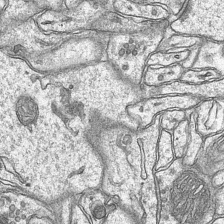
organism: Mouse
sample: CA1 Hippocampus